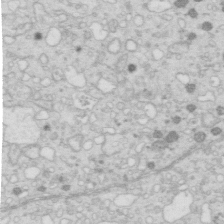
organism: Mouse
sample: Multiciliated cells